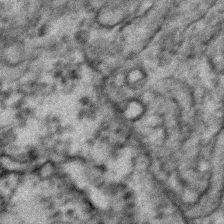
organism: Zebrafish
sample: Zebrafish embryo